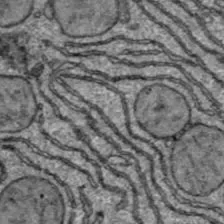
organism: C57BL Mouse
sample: Liver